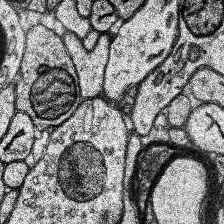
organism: Human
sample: Temporal Lobe